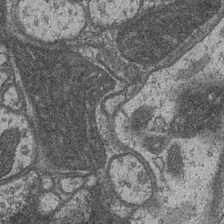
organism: Drosophila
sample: Optic medulla